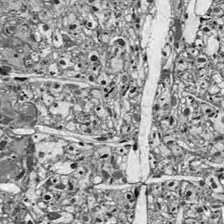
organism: Drosophila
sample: Optic lobe